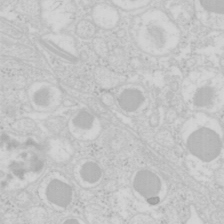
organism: Mouse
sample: Pancreas